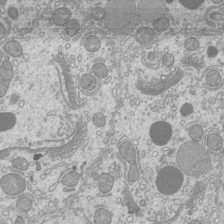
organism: Mouse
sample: Cilia; mouse epididymis